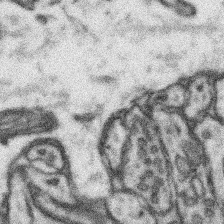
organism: Mouse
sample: Somatosensory cortex neuropil